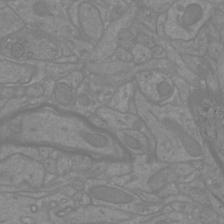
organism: Mouse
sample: Cortical neurons